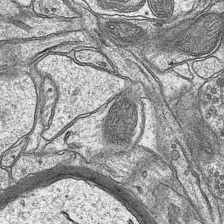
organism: Mouse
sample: CA1 Hippocampus